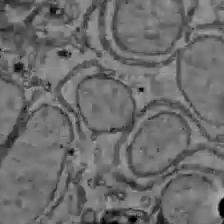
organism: C57BL Mouse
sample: Liver